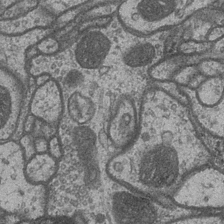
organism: Drosophila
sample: Optic medulla